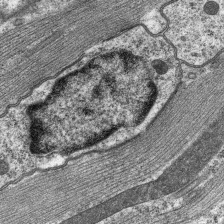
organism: C. elegans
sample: Pharynx